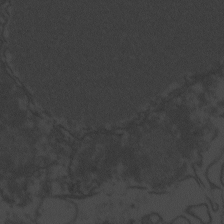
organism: Zebrafish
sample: Macrophage infected with Toxoplasma gondii